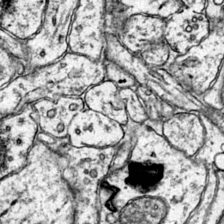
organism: Mouse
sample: Primary visual cortex